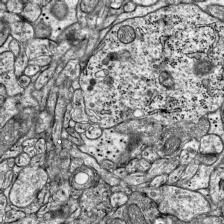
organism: Mouse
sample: Visual Cortex